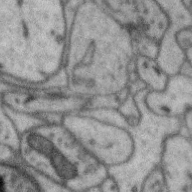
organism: Zebra finch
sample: Brain